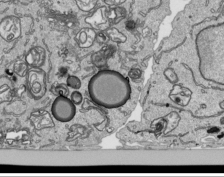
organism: Human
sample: Mitochondria in HCT116 cells